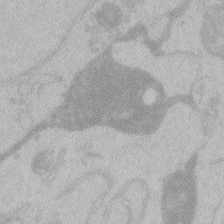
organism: Zebrafish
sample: Macrophage infected with Toxoplasma gondii